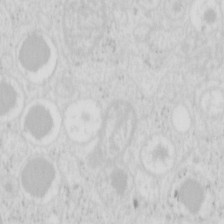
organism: Mouse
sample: Pancreas